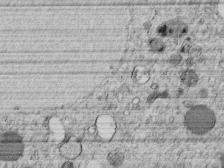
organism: C. elegans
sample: C. elegans embryo early stage